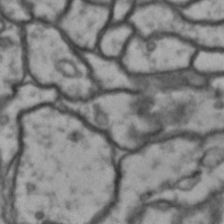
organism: Drosophila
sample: Brain